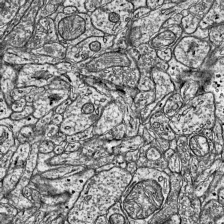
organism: Mouse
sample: Visual Cortex